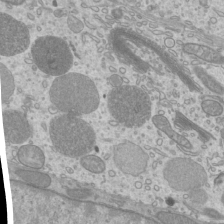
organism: Mouse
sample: Cilia; mouse epididymis